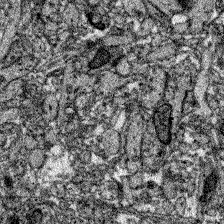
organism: Zebrafish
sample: Larval olfactory bulb